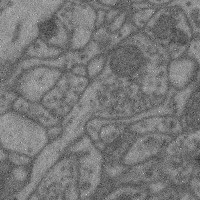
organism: Mouse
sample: Cerebral cortex